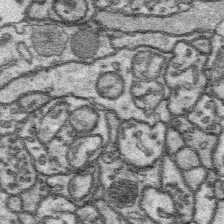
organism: Platynereis dumerilii